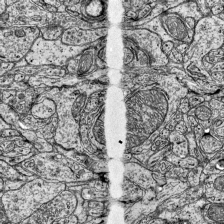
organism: Mouse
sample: Visual Cortex